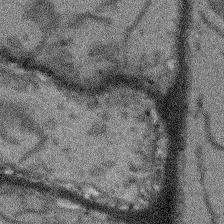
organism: Arabidopsis thaliana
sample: Root tip